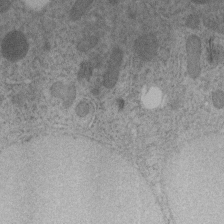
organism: C. elegans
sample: C. elegans embryo early stage